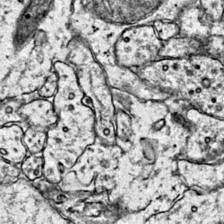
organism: Mouse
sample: Primary visual cortex